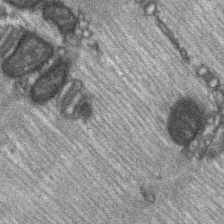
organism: C57BL Mouse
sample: Soleus